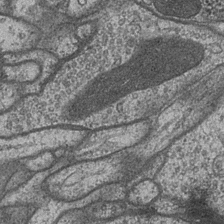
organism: Drosophila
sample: Optic medulla